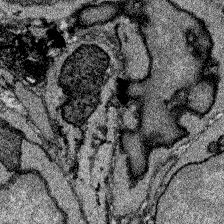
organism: Zebrafish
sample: Larval olfactory bulb